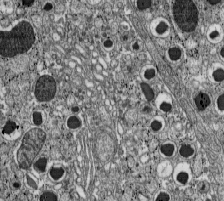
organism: C57BL Mouse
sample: Pancreatic islet